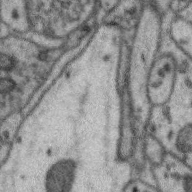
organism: Zebra finch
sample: Brain